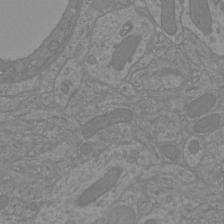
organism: Mouse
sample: Cortical neurons